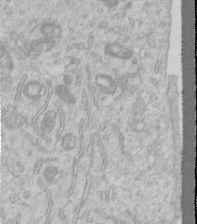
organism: Human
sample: Centriole in RPE cells